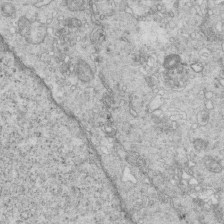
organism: Mouse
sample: Multiciliated cells